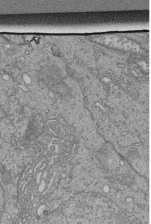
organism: Human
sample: Retinal organoid Rod and Cone cells